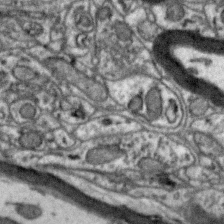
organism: Zebra finch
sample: Brain